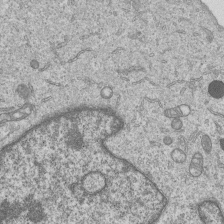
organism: Human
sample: MDA-MB-231 cells